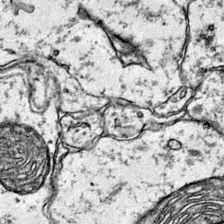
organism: Mouse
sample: Primary visual cortex